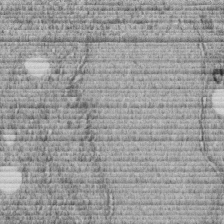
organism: C. elegans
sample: C. elegans embryo early stage